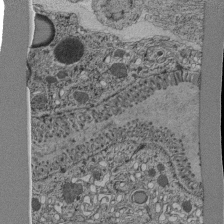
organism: C. elegans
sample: C. elegans pharynx